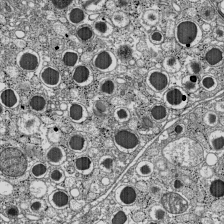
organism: C57BL Mouse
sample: Pancreatic islet